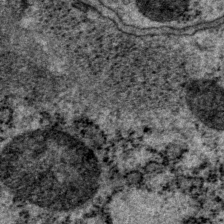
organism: P. pacificus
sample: Pharynx